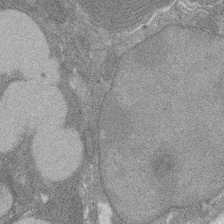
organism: Rat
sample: Salivary granule